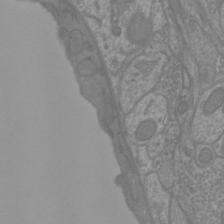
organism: Mouse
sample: Cortical neurons